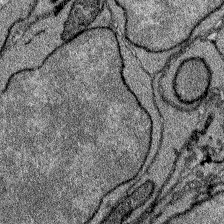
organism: Zebrafish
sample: Larval olfactory bulb